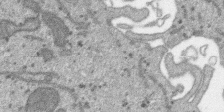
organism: Human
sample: Lung epithelial cells infected with SARS-CoV-2